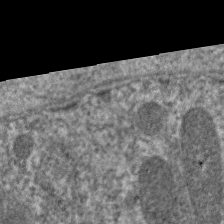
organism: C. elegans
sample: Pharynx